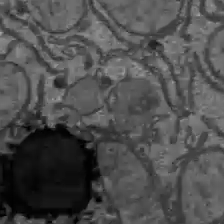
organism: C57BL Mouse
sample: Liver